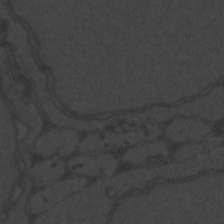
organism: Zebrafish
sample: Macrophage infected with Toxoplasma gondii